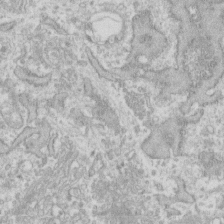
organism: Human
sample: Fibroblast cells